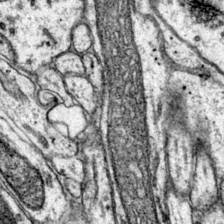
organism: Mouse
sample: Primary visual cortex